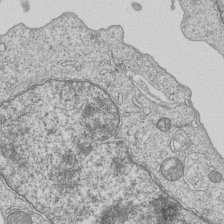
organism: Human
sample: MDA-MB-231 cells